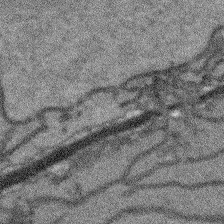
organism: Arabidopsis thaliana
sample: Root tip